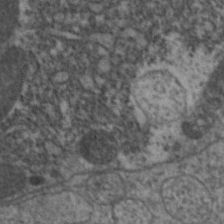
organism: C. elegans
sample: Pharynx